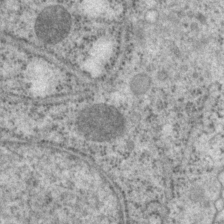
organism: P. pacificus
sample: Pharynx